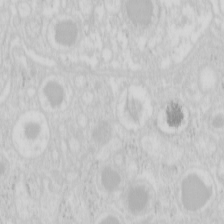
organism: Mouse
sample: Pancreas